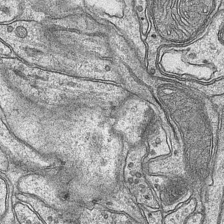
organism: Mouse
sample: CA1 Hippocampus